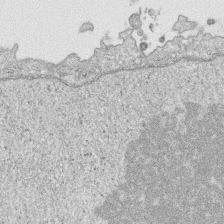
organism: Human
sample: HeLa cell HIV synapse